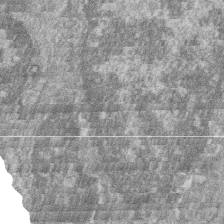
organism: Zebrafish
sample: Cilia; retinal pigment epithelium